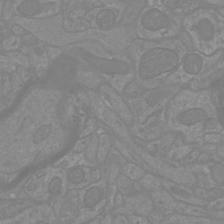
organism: Mouse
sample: Cortical neurons